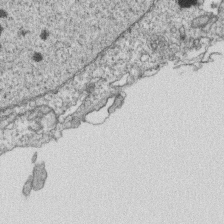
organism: Human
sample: HeLa cell HIV synapse